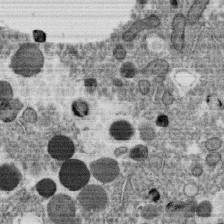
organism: C. elegans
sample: C. elegans oocyte; sperm cells